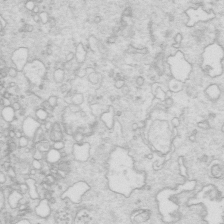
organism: Mouse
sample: Multiciliated cells